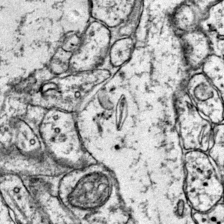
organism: Mouse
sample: Primary visual cortex